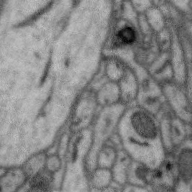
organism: Zebra finch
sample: Brain